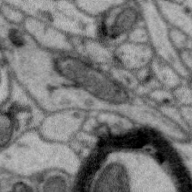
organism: Zebra finch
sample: Brain